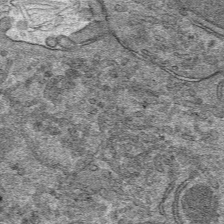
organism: Mouse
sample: Mouse hepatocytes